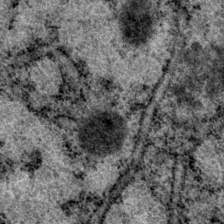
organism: P. pacificus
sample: Pharynx